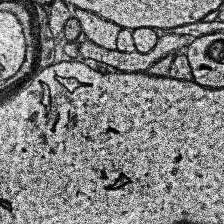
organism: Human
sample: Temporal Lobe